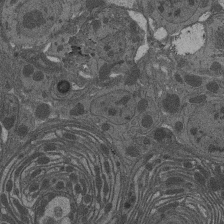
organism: Drosophila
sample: Antenna